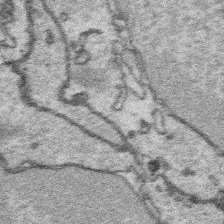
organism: Platynereis dumerilii